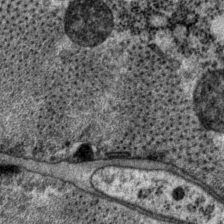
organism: P. pacificus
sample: Pharynx